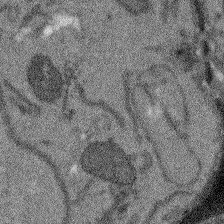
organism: Arabidopsis thaliana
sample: Root tip